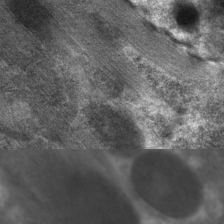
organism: C. elegans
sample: Pharynx